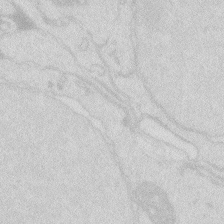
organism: Zebrafish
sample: Macrophage